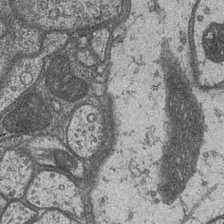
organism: Drosophila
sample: Optic medulla